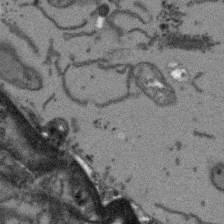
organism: Arabidopsis thaliana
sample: Root tip